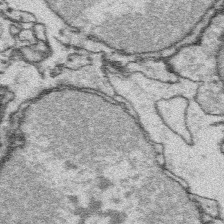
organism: Platynereis dumerilii